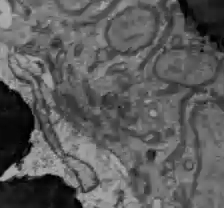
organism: C57BL Mouse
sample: Liver